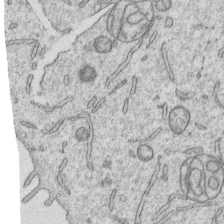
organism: Human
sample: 1205lu cells